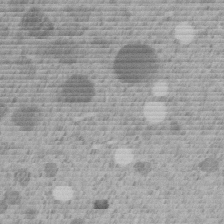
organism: C. elegans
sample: C. elegans embryo early stage